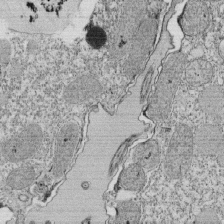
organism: Tetrahymena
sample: Cilia in tetrahymena